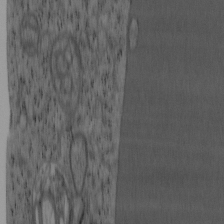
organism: Human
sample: HeLa cells